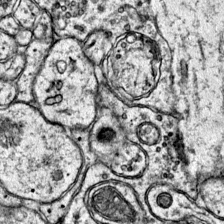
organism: Mouse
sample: Primary visual cortex